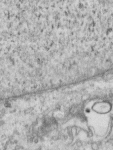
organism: Human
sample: Centriole in RPE cells